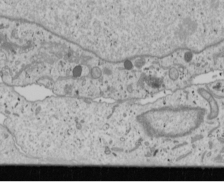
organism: Human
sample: Mitochondria in U2OS cells